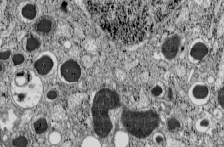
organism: C57BL Mouse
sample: Pancreatic islet